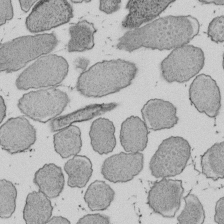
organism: E. coli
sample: Bacterial nucleoid